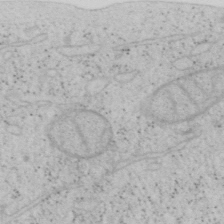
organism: Human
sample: HeLa cells